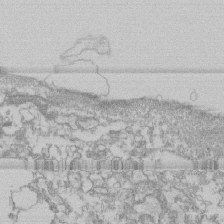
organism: Human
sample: CRL-1474